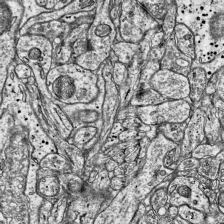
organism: Mouse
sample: Visual Cortex